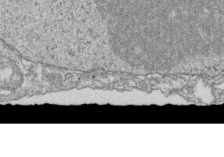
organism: Human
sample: HeLa cell HIV synapse